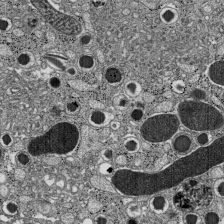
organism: C57BL Mouse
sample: Pancreatic islet